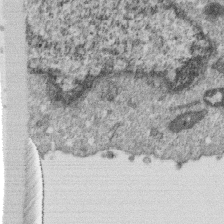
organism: African green monkey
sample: Vero E6 cells infected with SARS-CoV-2